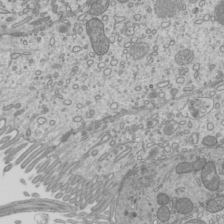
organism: Mouse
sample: Cilia; mouse epididymis